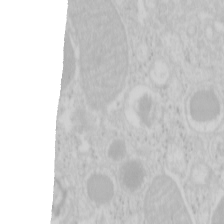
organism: Mouse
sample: Pancreas